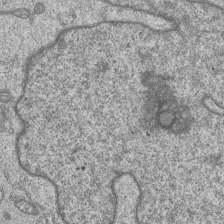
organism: Human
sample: MDA-MB-231 cells